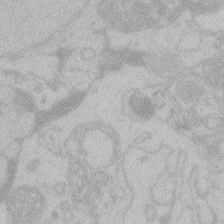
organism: Zebrafish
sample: Macrophage infected with Toxoplasma gondii